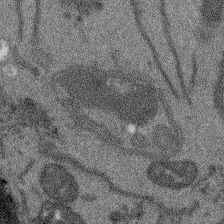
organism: Arabidopsis thaliana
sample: Root tip